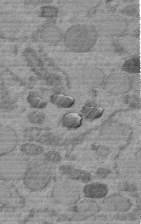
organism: C. elegans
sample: C. elegans embryo early stage